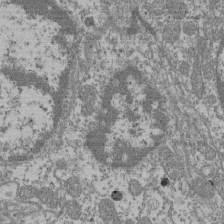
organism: Mouse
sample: Glomerulus